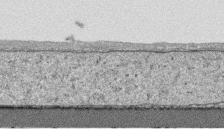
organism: Human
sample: CRL-1474